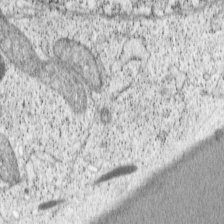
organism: African green monkey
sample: COS-7 cells